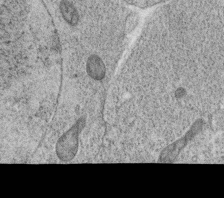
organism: C. elegans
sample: C. elegans oocyte; sperm cells